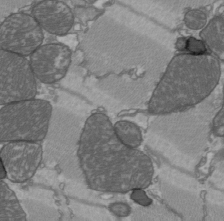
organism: C57BL Mouse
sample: Heart